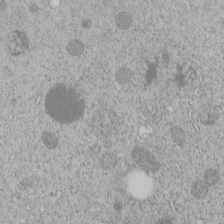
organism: C. elegans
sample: C. elegans embryo early stage